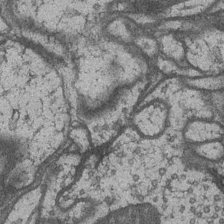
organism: Drosophila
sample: Optic medulla